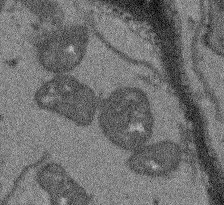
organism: Arabidopsis thaliana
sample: Root tip